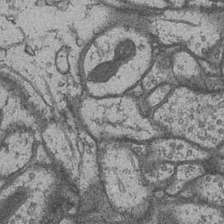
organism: Drosophila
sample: Optic medulla